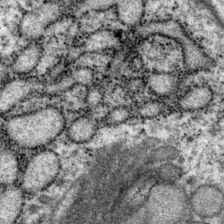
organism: P. pacificus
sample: Pharynx